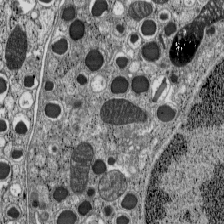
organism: C57BL Mouse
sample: Pancreatic islet